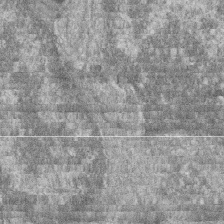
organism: Zebrafish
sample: Cilia; retinal pigment epithelium